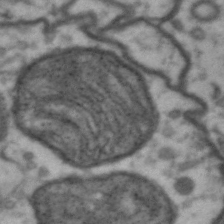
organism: Drosophila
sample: Brain